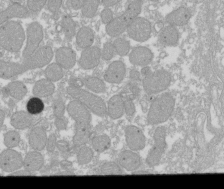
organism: Xenopus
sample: Cilia; centrioles in frog embryo cells